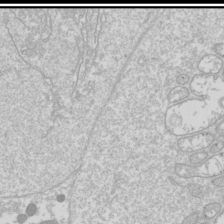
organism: Drosophila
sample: Cell division; meiosis; drosophila spermatocytes